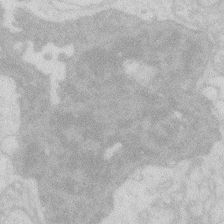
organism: Zebrafish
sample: Macrophage